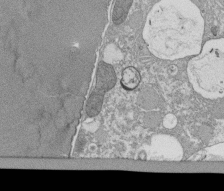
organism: Tetrahymena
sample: Cilia in tetrahymena